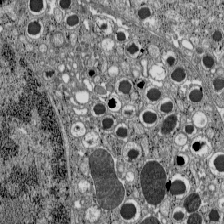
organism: C57BL Mouse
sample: Pancreatic islet